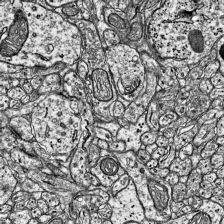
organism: Mouse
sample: Visual Cortex